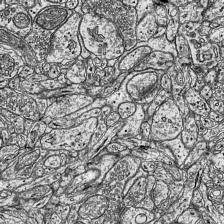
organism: Mouse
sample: Visual Cortex